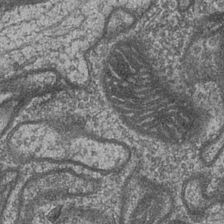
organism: Drosophila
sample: Optic medulla